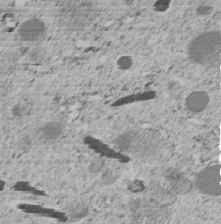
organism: C. elegans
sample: C. elegans embryo early stage